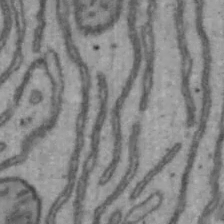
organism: Mouse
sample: Liver